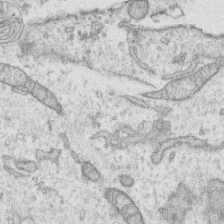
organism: Human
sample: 1205lu cells